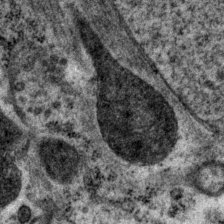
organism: P. pacificus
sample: Pharynx